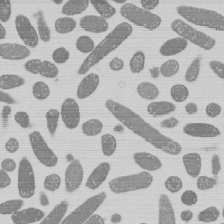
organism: E. coli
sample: Bacterial nucleoid